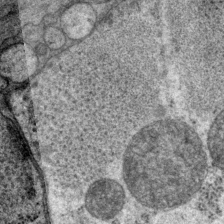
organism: P. pacificus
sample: Pharynx